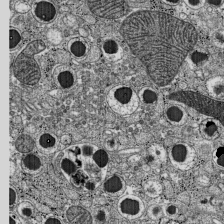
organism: C57BL Mouse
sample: Pancreatic islet